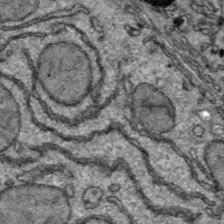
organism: C57BL Mouse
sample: Liver